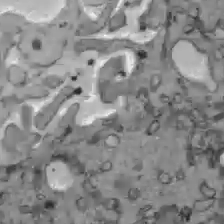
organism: C57BL Mouse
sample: Liver